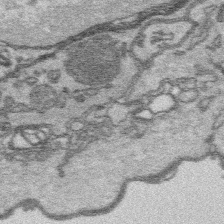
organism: Platynereis dumerilii